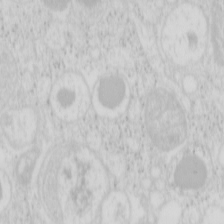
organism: Mouse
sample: Pancreas